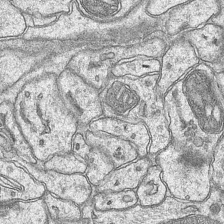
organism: Mouse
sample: CA1 Hippocampus